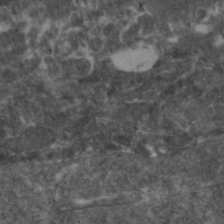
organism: Zebrafish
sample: Zebrafish embryo